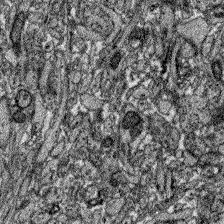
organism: Zebrafish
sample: Larval olfactory bulb